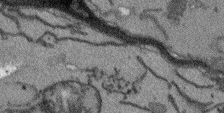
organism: Arabidopsis thaliana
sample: Root tip